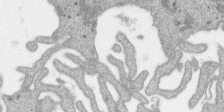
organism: Human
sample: Lung epithelial cells infected with SARS-CoV-2